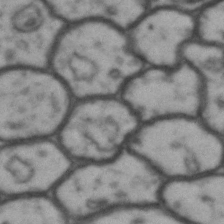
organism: Drosophila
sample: Brain